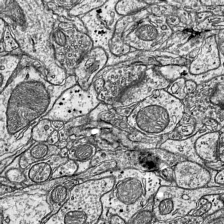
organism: Mouse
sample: Visual Cortex